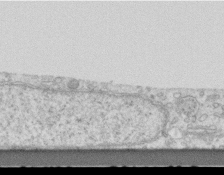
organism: Mouse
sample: Centriole in ependymal cells